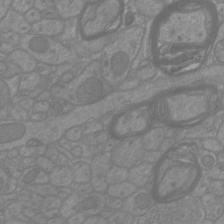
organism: Mouse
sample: Cortical neurons